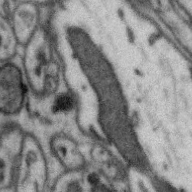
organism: Zebra finch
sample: Brain